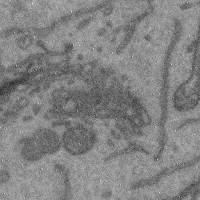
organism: Mouse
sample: Cerebral cortex